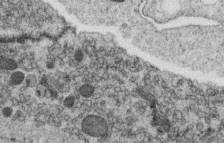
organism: C. elegans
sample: C. elegans oocyte; sperm cells